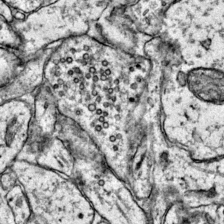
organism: Mouse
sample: Primary visual cortex